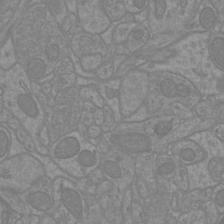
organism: Mouse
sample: Cortical neurons